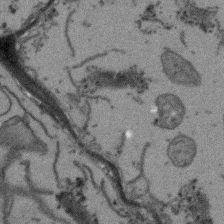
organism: Arabidopsis thaliana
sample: Root tip